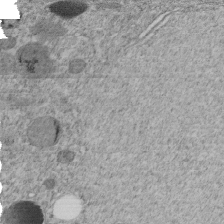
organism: C. elegans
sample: C. elegans embryo early stage